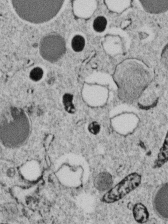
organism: C. elegans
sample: C. elegans embryo early stage